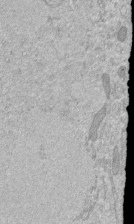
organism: Mouse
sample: ED-1 cell nuclei; centrioles